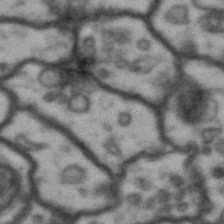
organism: Drosophila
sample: Brain